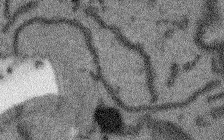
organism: Arabidopsis thaliana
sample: Root tip